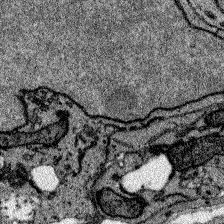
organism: Zebrafish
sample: Larval olfactory bulb